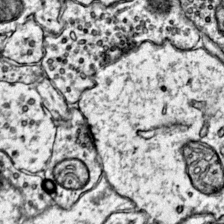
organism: Mouse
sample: Primary visual cortex